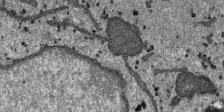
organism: Human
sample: Lung epithelial cells, uninfected (mock) control